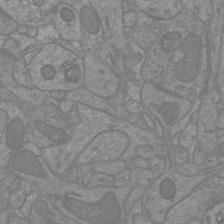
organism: Mouse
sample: Cortical neurons